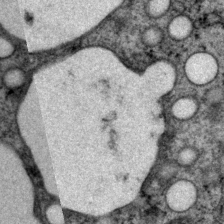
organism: P. pacificus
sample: Pharynx